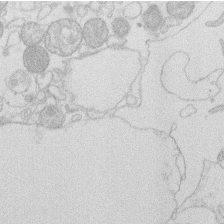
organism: Human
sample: Macrophage cells